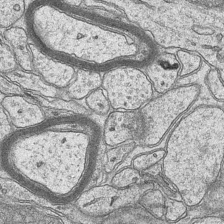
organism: Mouse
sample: CA1 Hippocampus